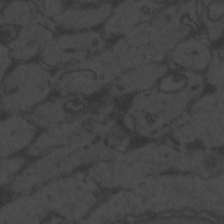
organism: Zebrafish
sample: Macrophage infected with Toxoplasma gondii